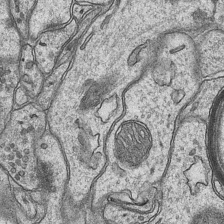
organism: Mouse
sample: CA1 Hippocampus